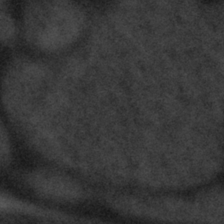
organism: Tuwongella immobilis